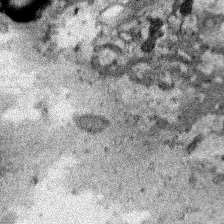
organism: Human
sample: Mitochondria in HCT116 cells